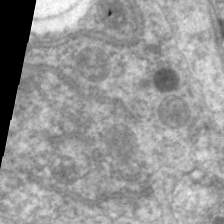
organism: C. elegans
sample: Pharynx